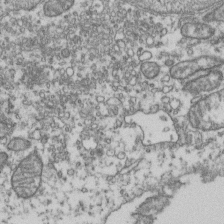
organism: Human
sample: Activated Jurkat CD4+ T cells